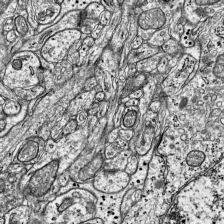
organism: Mouse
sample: Visual Cortex